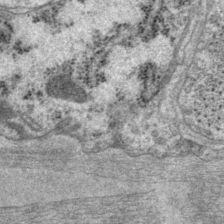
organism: P. pacificus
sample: Pharynx